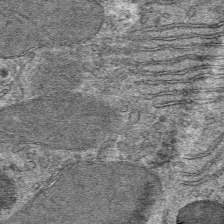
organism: Mouse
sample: Mouse hepatocytes